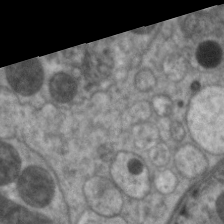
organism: C. elegans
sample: Pharynx